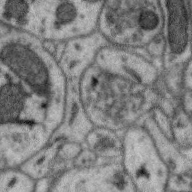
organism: Zebra finch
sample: Brain